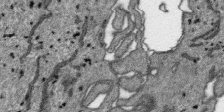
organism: Human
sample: Lung epithelial cells, uninfected (mock) control